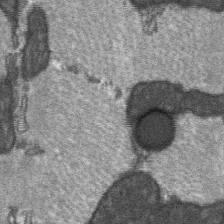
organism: C57BL Mouse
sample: Soleus